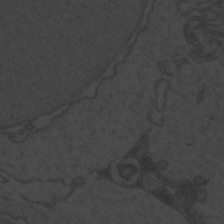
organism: Zebrafish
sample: Macrophage infected with Toxoplasma gondii